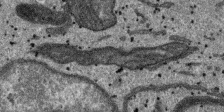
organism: Human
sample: Lung epithelial cells, uninfected (mock) control